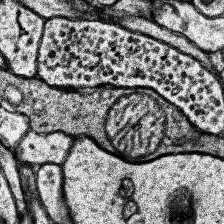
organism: Human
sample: Temporal Lobe